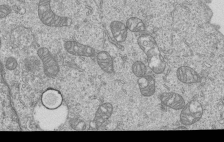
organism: Human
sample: MDA-MB-231 cells